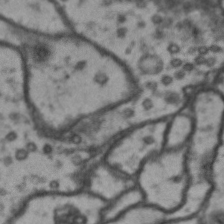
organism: Drosophila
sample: Brain